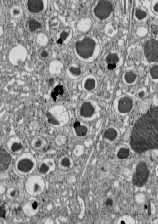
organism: C57BL Mouse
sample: Pancreatic islet